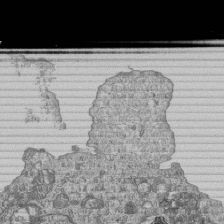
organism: Human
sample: MDA-MB-231 cells